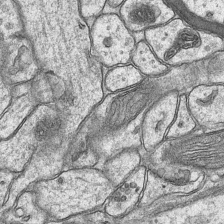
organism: Mouse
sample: CA1 Hippocampus